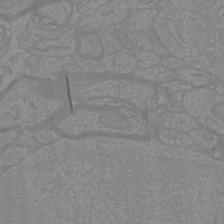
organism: Mouse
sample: Cortical neurons